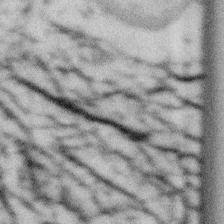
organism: Gemmata obscuriglobus